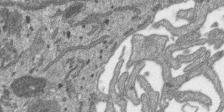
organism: Human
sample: Lung epithelial cells infected with SARS-CoV-2